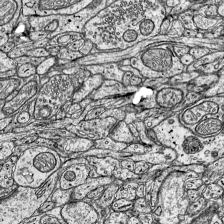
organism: Mouse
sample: Visual Cortex